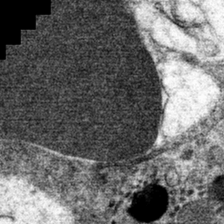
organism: Mouse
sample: Mouse hepatocytes